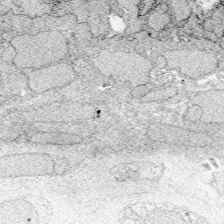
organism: Zebrafish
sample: Whole-Brain